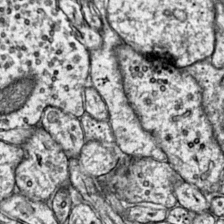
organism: Mouse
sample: Primary visual cortex